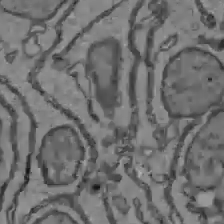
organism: C57BL Mouse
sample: Liver